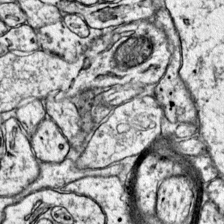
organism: Mouse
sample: Primary visual cortex